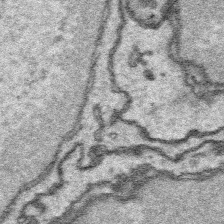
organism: Platynereis dumerilii